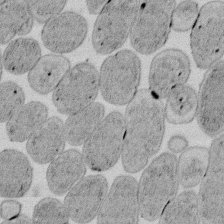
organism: E. coli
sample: Bacterial nucleoid